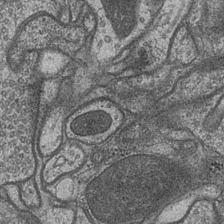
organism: Drosophila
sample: Optic medulla